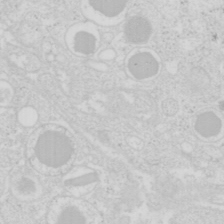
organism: Mouse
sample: Pancreas